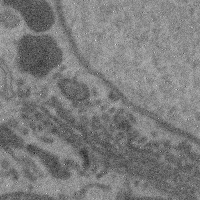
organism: Mouse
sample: Cerebral cortex